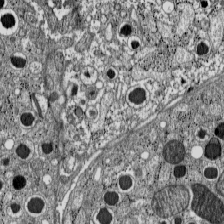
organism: C57BL Mouse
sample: Pancreatic islet